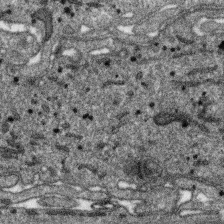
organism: Human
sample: Lung epithelial cells infected with SARS-CoV-2